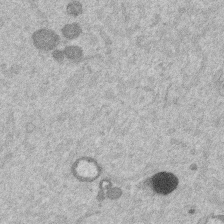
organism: Mouse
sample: Dividing mouse embryo 1 cell stage